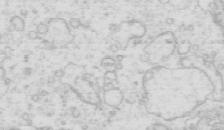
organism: Mouse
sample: Multiciliated cells